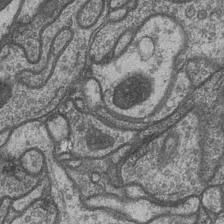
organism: Drosophila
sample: Optic medulla